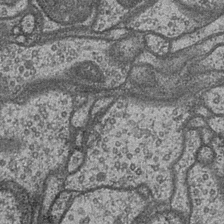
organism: Drosophila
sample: Optic medulla